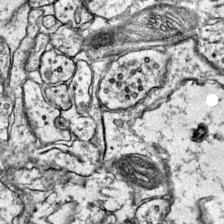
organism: Mouse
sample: Primary visual cortex